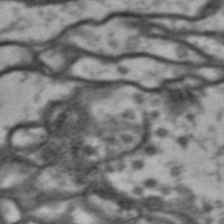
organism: Drosophila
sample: Brain